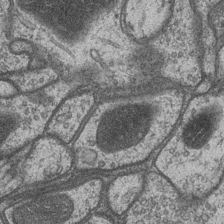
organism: Drosophila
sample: Optic medulla